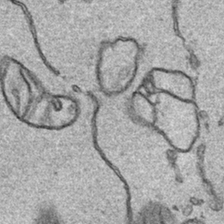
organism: Human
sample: Mitochondria in HCT116 cells